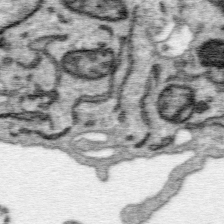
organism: Human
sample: HeLa cells